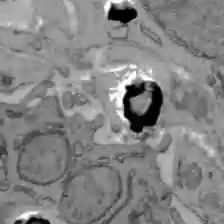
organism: C57BL Mouse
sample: Liver